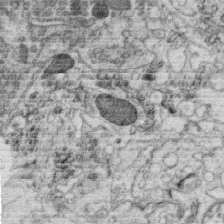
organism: C. elegans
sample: C. elegans oocyte; sperm cells